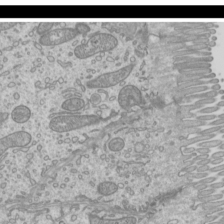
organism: Mouse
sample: Cilia; mouse epididymis